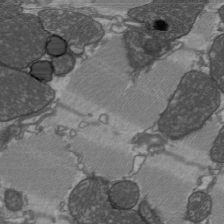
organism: C57BL Mouse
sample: Heart